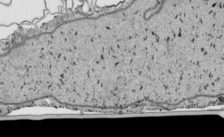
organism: Human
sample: Mitochondria in HCT116 cells